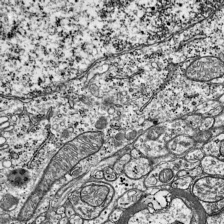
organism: Mouse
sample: Visual Cortex